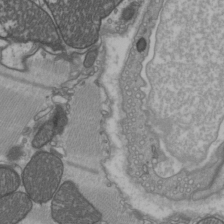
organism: C57BL Mouse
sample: Heart